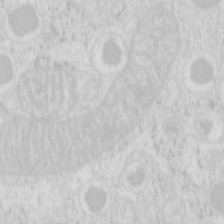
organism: Mouse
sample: Pancreas